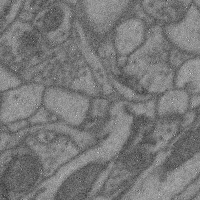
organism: Mouse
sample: Cerebral cortex